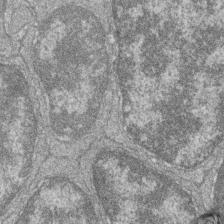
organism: Zebrafish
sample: Cilia; retinal pigment epithelium